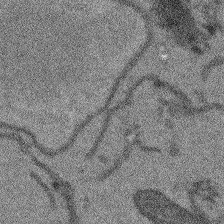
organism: Arabidopsis thaliana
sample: Root tip